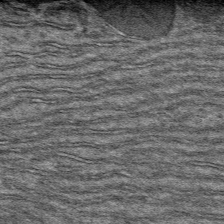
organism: Mouse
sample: Mouse hepatocytes